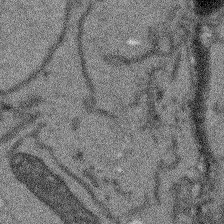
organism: Arabidopsis thaliana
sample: Root tip